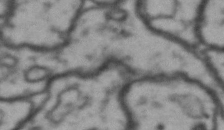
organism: Drosophila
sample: Brain